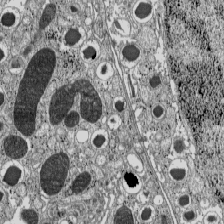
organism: C57BL Mouse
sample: Pancreatic islet